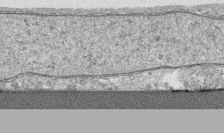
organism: Human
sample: CRL-1474